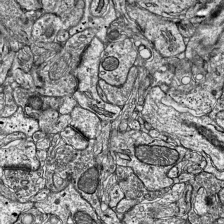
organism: Mouse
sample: Visual Cortex